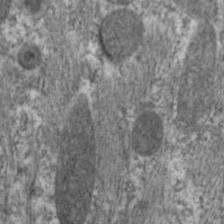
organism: C. elegans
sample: Pharynx